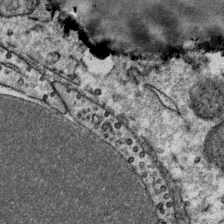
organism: Mouse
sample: Mouse Salivary gland